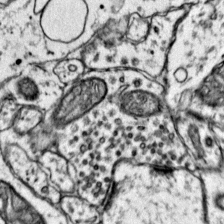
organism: Mouse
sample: Primary visual cortex